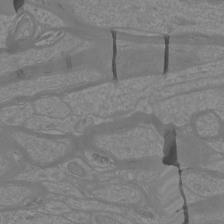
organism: Mouse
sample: Cortical neurons